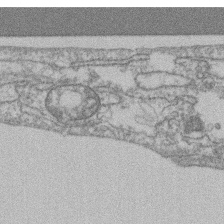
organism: Mouse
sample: T cell stromal cell synapse